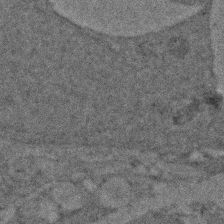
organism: Zebrafish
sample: Zebrafish embryo